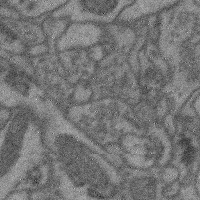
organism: Mouse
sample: Cerebral cortex